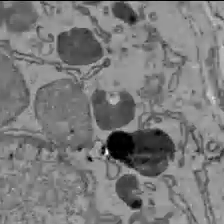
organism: C57BL Mouse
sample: Liver